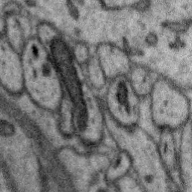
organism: Zebra finch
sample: Brain